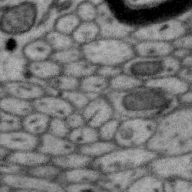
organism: Zebra finch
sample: Brain